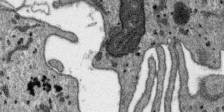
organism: Human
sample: Lung epithelial cells, uninfected (mock) control